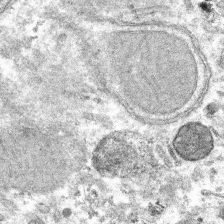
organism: Mouse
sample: Mouse hepatocytes